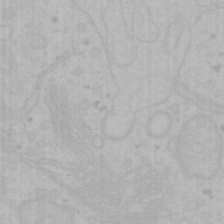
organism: Mouse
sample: Choroid plexus